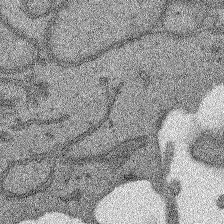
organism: Human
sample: HeLa cells